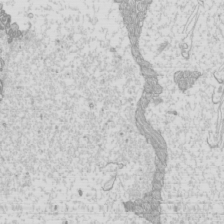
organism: Mouse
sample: Cilia; mouse epididymis